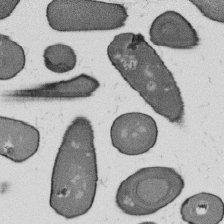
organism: B. subtilis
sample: Bacterial spore